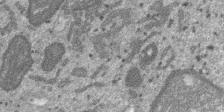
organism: Human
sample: Lung epithelial cells infected with SARS-CoV-2